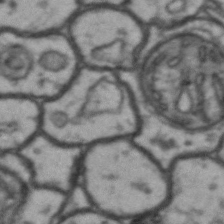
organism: Drosophila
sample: Brain